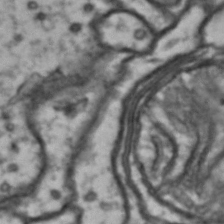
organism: Drosophila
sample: Brain